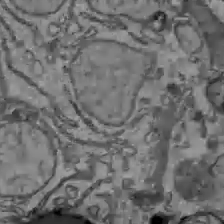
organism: C57BL Mouse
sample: Liver